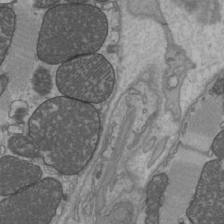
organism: C57BL Mouse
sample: Heart